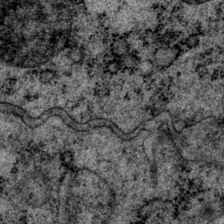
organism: P. pacificus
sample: Pharynx